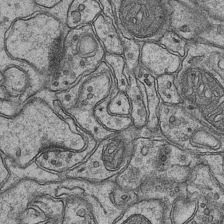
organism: Mouse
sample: CA1 Hippocampus